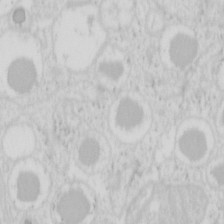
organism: Mouse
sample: Pancreas